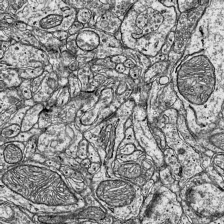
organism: Mouse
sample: Visual Cortex